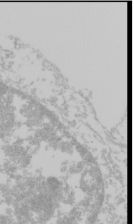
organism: Mouse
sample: Cancer cell death in ED-1 cells